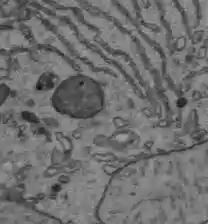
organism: C57BL Mouse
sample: Liver